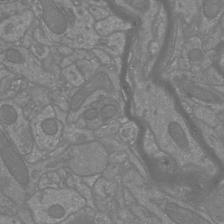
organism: Mouse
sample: Cortical neurons